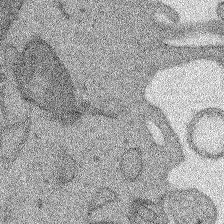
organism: Human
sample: HeLa cells